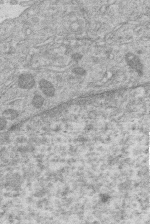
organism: Human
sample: Macrophage cells